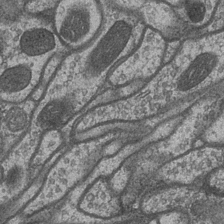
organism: Drosophila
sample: Optic medulla